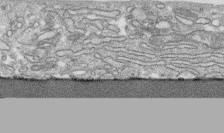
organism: Human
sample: CRL-1474